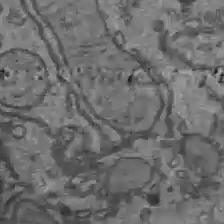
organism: C57BL Mouse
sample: Liver